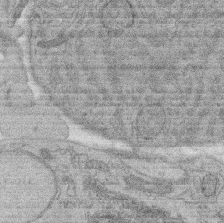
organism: Rat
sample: Salivary granule